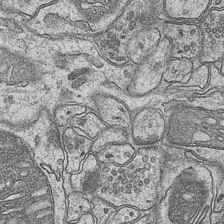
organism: Mouse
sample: CA1 Hippocampus